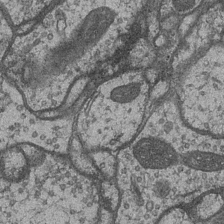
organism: Drosophila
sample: Optic medulla